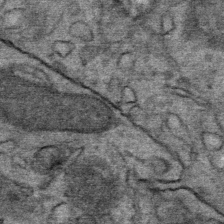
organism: Mouse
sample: Mouse Salivary gland